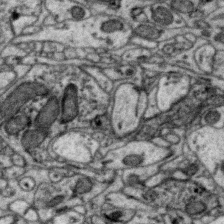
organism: Zebra finch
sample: Brain